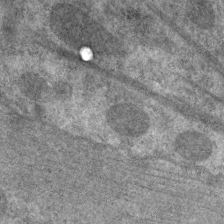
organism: C. elegans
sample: Pharynx